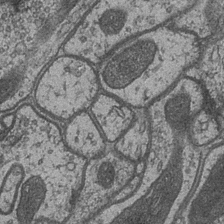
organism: Drosophila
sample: Optic medulla